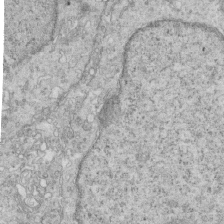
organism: Mouse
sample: Multiciliated cells